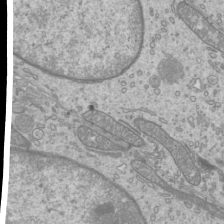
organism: Mouse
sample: Cilia; mouse epididymis